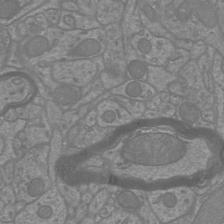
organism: Mouse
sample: Cortical neurons